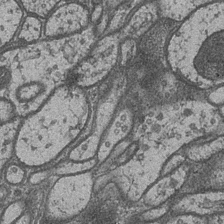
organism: Drosophila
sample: Optic medulla